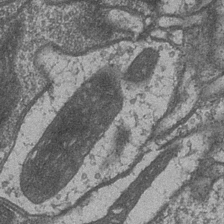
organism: Drosophila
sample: Optic medulla